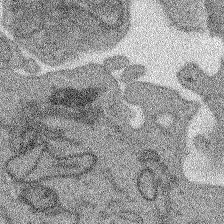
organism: Human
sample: HeLa cells